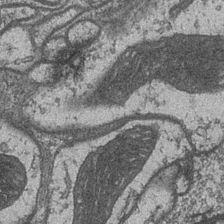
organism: Drosophila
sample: Optic medulla